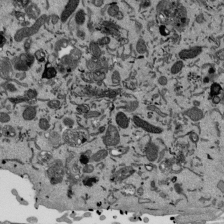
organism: Mouse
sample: ED-1 cell nuclei; centrioles